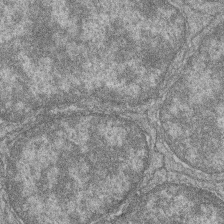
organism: Zebrafish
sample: Cilia; retinal pigment epithelium